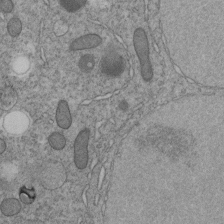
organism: C. elegans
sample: C. elegans embryo early stage